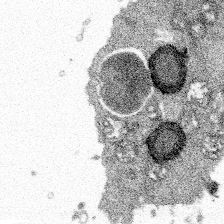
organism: Spongilla lacustris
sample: Multiple